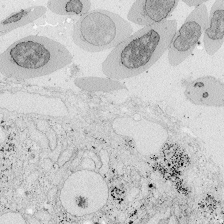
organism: Zebrafish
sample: Whole-Brain